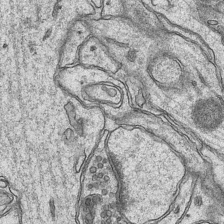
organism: Mouse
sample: CA1 Hippocampus